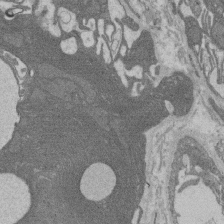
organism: Rat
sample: Salivary granule